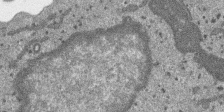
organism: Human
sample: Lung epithelial cells infected with SARS-CoV-2